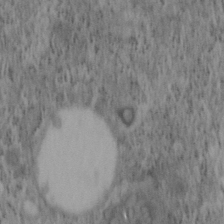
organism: Mouse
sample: OT-I killer T cells with ID8 ovarian cancer cells